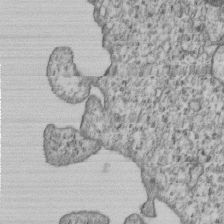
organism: Human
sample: MDA-MB-231 cells